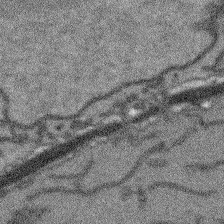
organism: Arabidopsis thaliana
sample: Root tip